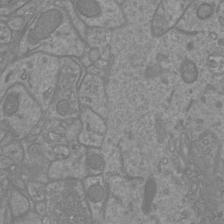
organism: Mouse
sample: Cortical neurons